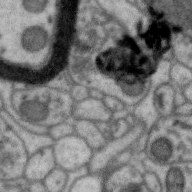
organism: Zebra finch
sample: Brain